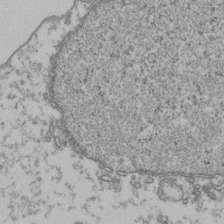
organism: Human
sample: Activated Jurkat CD4+ T cells